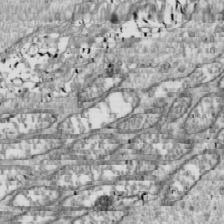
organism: Drosophila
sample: Cell division; meiosis; drosophila spermatocytes